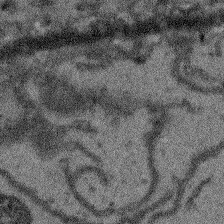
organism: Arabidopsis thaliana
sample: Root tip